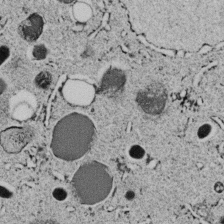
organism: C. elegans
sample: C. elegans embryo early stage